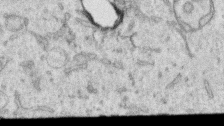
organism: Human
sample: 1205lu cells